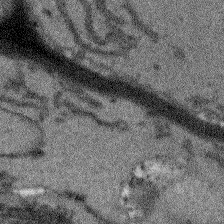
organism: Arabidopsis thaliana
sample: Root tip